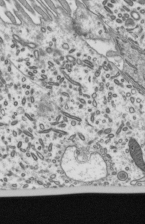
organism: Mouse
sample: Mouse epididymis efferent ductule cilia